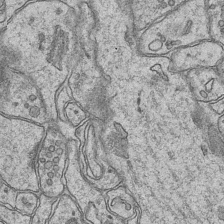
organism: Mouse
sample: CA1 Hippocampus